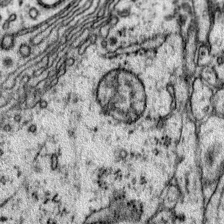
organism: Mouse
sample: Primary visual cortex